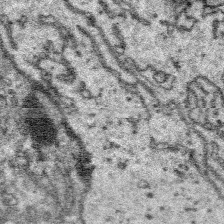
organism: Platynereis dumerilii